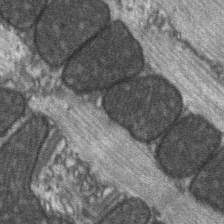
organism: C57BL Mouse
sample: Soleus